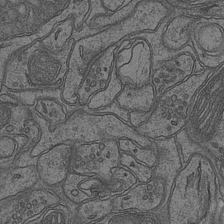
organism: Mouse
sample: CA1 Hippocampus